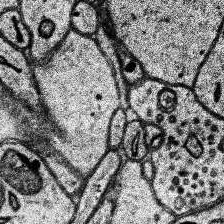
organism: Human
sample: Temporal Lobe